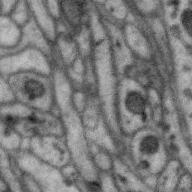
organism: Zebra finch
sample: Brain